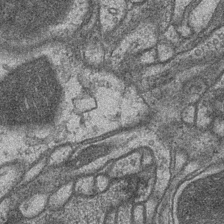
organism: Drosophila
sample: Optic medulla